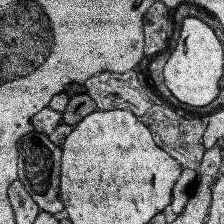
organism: Human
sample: Temporal Lobe